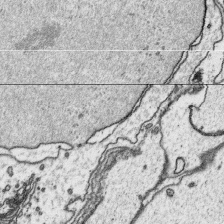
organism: Platynereis dumerilii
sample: Parapodia